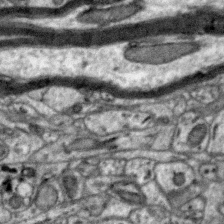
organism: Zebra finch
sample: Brain